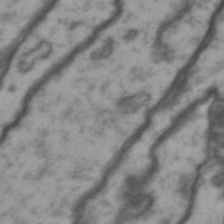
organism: Drosophila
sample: Brain